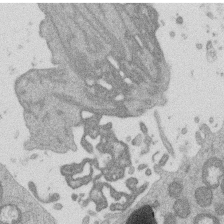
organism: Mouse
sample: Dividing mouse embryo 1 cell stage